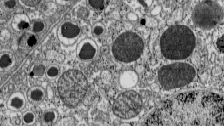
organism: C57BL Mouse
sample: Pancreatic islet